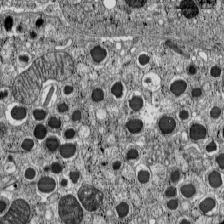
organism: C57BL Mouse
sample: Pancreatic islet